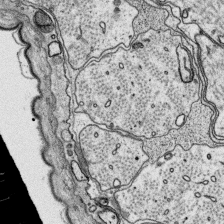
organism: Platynereis dumerilii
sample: Parapodia